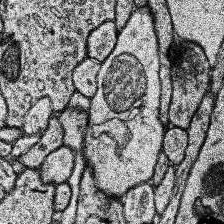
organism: Human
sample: Temporal Lobe